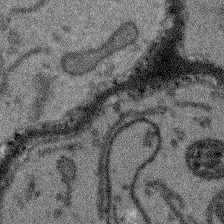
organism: Arabidopsis thaliana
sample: Root tip